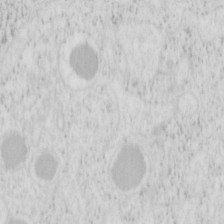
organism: Mouse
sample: Pancreas